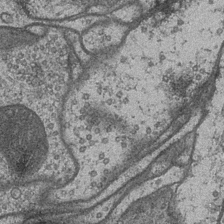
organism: Drosophila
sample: Optic medulla